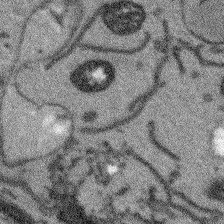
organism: Arabidopsis thaliana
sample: Root tip